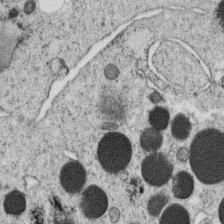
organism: C. elegans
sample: C. elegans oocyte; sperm cells